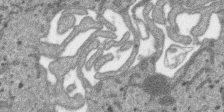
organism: Human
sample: Lung epithelial cells infected with SARS-CoV-2